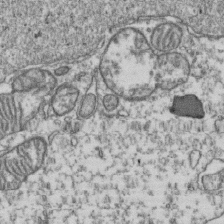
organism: Human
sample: Activated Jurkat CD4+ T cells